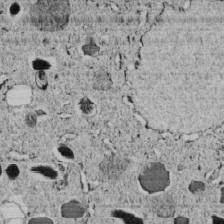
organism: C. elegans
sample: C. elegans embryo early stage